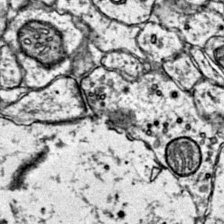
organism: Mouse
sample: Primary visual cortex